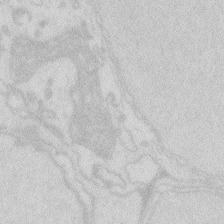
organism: Zebrafish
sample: Macrophage